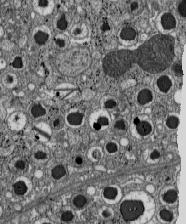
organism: C57BL Mouse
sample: Pancreatic islet